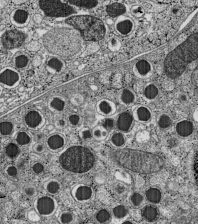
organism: C57BL Mouse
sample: Pancreatic islet